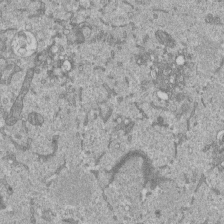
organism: Mouse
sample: ED-1 cell nuclei; centrioles